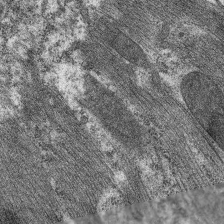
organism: C. elegans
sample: Pharynx